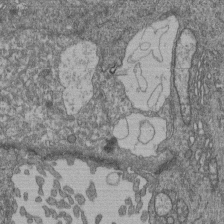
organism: Human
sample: Retinal organoid Rod and Cone cells